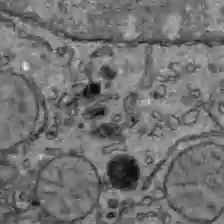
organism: C57BL Mouse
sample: Liver